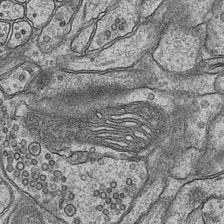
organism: Mouse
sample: CA1 Hippocampus